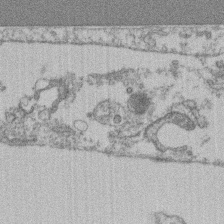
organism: Mouse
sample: T cell stromal cell synapse